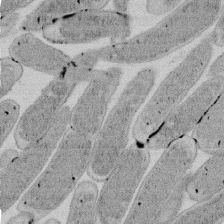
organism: E. coli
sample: Bacterial nucleoid